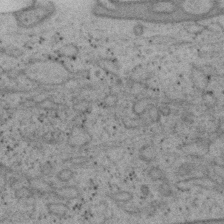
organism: Human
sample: HeLa cells